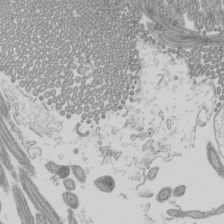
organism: Mouse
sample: Cilia; mouse epididymis